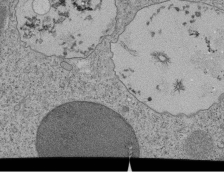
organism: Tetrahymena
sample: Cilia in tetrahymena